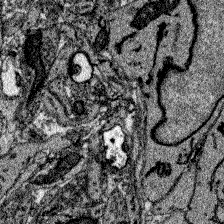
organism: Zebrafish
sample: Larval olfactory bulb